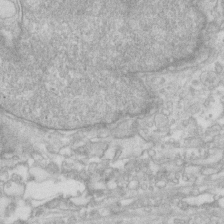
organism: Human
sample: Fibroblast cells